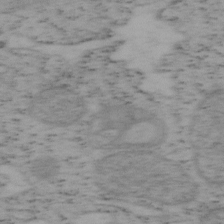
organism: Mouse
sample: OT-I killer T cells with ID8 ovarian cancer cells